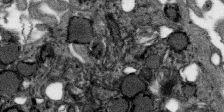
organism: Human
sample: Lung epithelial cells, uninfected (mock) control